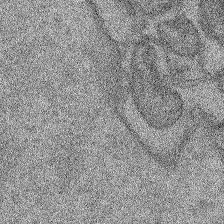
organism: Human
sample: HeLa cells